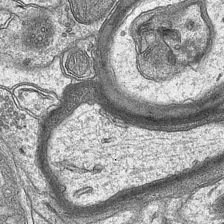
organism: Mouse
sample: CA1 Hippocampus